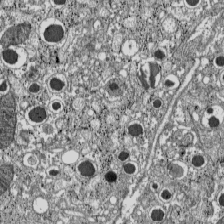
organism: C57BL Mouse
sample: Pancreatic islet